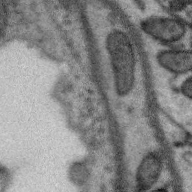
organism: Zebra finch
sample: Brain